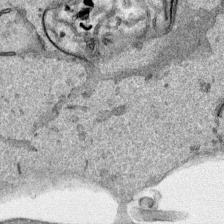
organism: Human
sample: Mitochondria in HCT116 cells